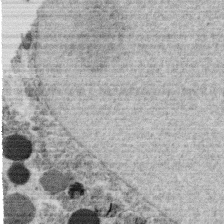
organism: C. elegans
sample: C. elegans oocyte; sperm cells